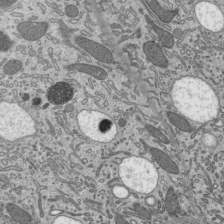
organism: Mouse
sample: Mouse epididymis efferent ductule cilia